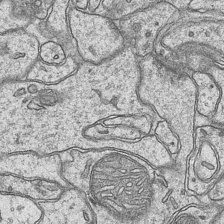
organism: Mouse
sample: CA1 Hippocampus